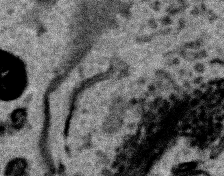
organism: Human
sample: Mitochondria in HCT116 cells